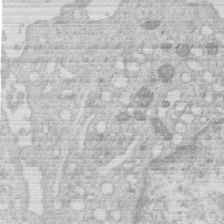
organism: Human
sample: Macrophage cells